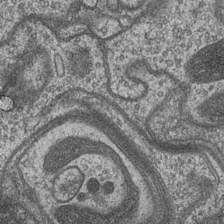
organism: Drosophila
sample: Optic medulla